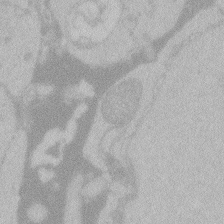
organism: Zebrafish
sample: Macrophage infected with Toxoplasma gondii